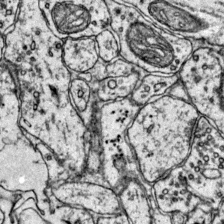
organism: Mouse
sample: Primary visual cortex